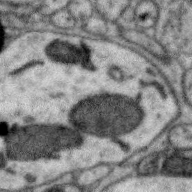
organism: Zebra finch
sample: Brain